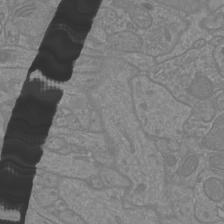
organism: Mouse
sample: Cortical neurons